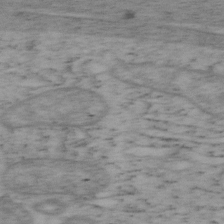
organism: Mouse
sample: OT-I killer T cells with ID8 ovarian cancer cells